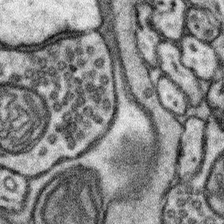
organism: Mouse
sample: Somatosensory cortex neuropil